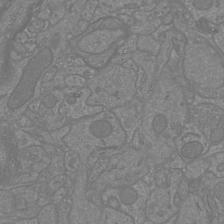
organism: Mouse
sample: Cortical neurons